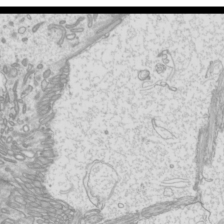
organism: Mouse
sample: Cilia; mouse epididymis